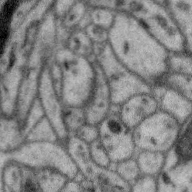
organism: Zebra finch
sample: Brain